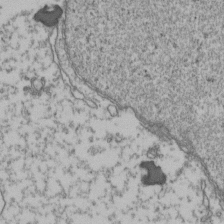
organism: Human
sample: Activated Jurkat CD4+ T cells